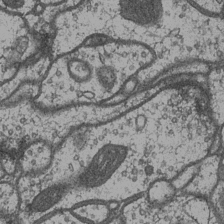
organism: Drosophila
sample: Optic medulla